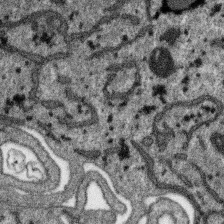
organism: Human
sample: Lung epithelial cells infected with SARS-CoV-2